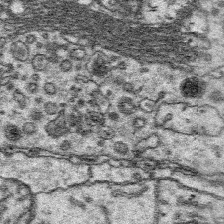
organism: Platynereis dumerilii